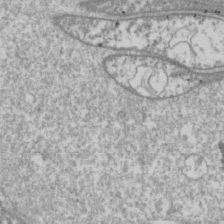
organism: Drosophila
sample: Cell division; meiosis; drosophila spermatocytes